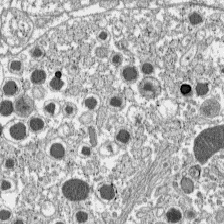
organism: C57BL Mouse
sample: Pancreatic islet